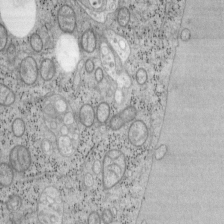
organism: Mouse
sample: OT-I killer T cells with ID8 ovarian cancer cells